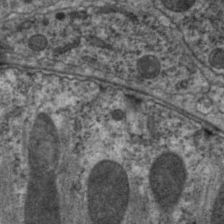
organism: C. elegans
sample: Pharynx